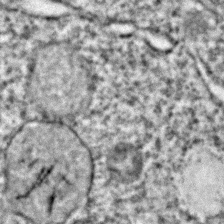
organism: C. elegans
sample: C. elegans embryo